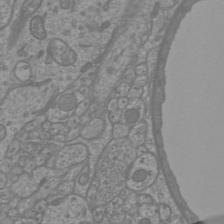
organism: Mouse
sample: Cortical neurons